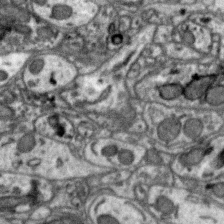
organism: Zebra finch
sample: Brain